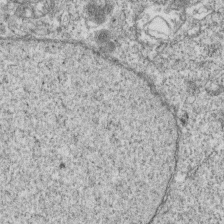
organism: Human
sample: HeLa cell HIV synapse